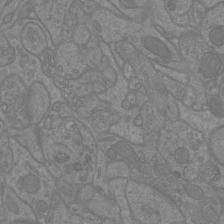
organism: Mouse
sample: Cortical neurons